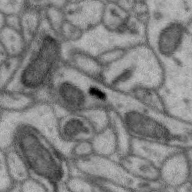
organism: Zebra finch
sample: Brain